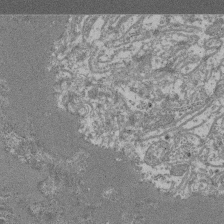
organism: Mouse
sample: Glomerulus